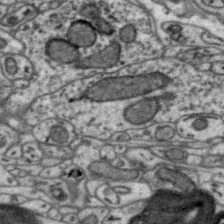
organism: Zebra finch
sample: Brain